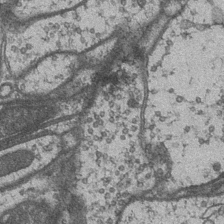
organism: Drosophila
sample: Optic medulla